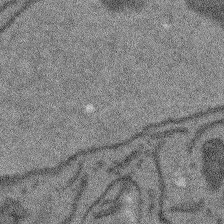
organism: Arabidopsis thaliana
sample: Root tip